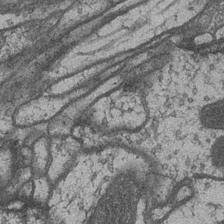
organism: Drosophila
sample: Optic medulla